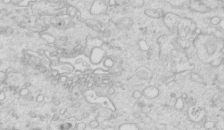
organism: Mouse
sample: Multiciliated cells